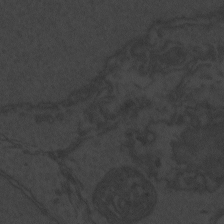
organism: Zebrafish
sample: Macrophage infected with Toxoplasma gondii